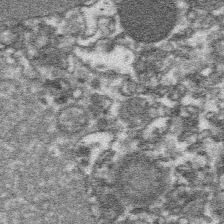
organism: Platynereis dumerilii